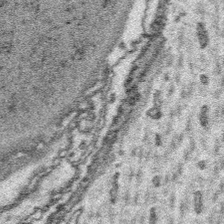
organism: Platynereis dumerilii